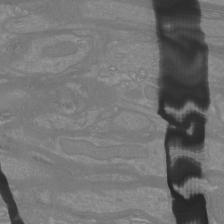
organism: Mouse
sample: Cortical neurons